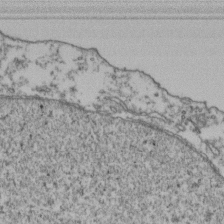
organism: Human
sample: Activated Jurkat CD4+ T cells